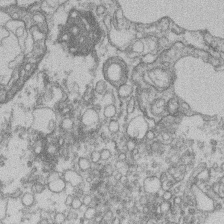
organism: Mouse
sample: T cell stromal cell synapse